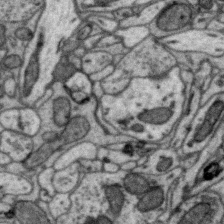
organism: Zebra finch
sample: Brain